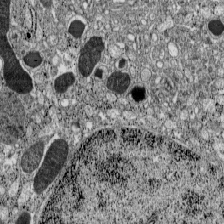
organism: C57BL Mouse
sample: Pancreatic islet